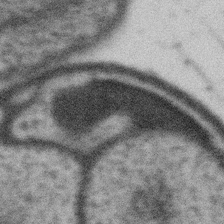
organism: Gemmata obscuriglobus